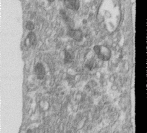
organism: Human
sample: Centriole in RPE cells